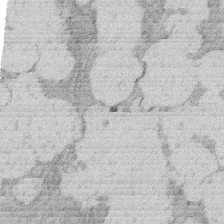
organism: Rat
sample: Salivary granule